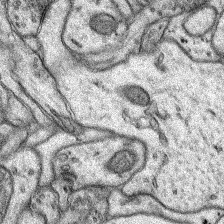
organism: Rat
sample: Hippocampus